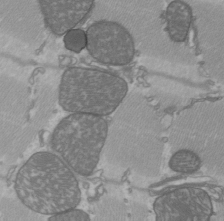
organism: C57BL Mouse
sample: Heart